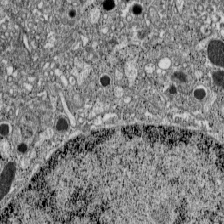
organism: C57BL Mouse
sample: Pancreatic islet